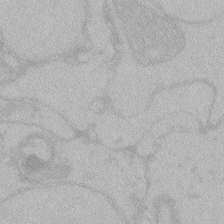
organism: Zebrafish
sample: Macrophage infected with Toxoplasma gondii